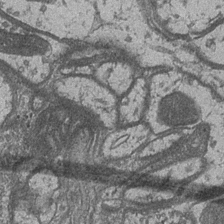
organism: Drosophila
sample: Optic medulla